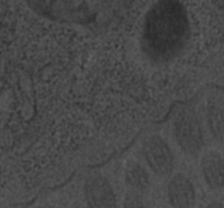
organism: C. elegans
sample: C. elegans embryo